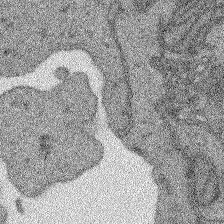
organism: Human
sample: HeLa cells